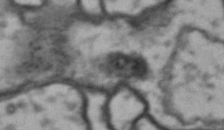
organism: Drosophila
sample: Brain